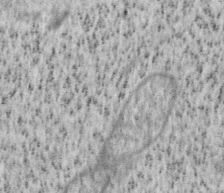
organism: Mouse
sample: OT-I killer T cells with ID8 ovarian cancer cells